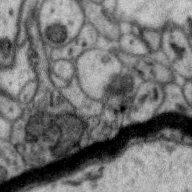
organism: Zebra finch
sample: Brain